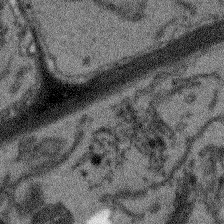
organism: Arabidopsis thaliana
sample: Root tip